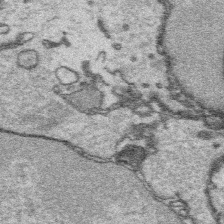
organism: Platynereis dumerilii